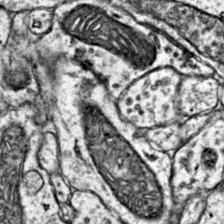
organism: Mouse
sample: Primary visual cortex